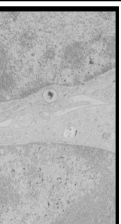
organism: Human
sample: Mitochondria in HCT116 cells